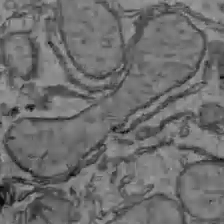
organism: C57BL Mouse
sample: Liver